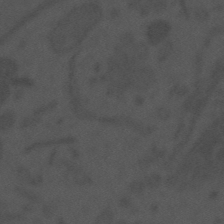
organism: Mouse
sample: Suprachiasmatic nucleus